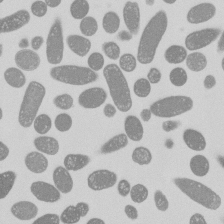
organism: E. coli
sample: Bacterial nucleoid